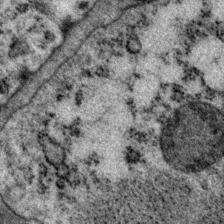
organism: P. pacificus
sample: Pharynx